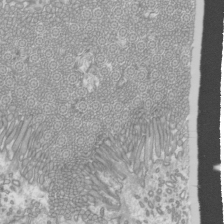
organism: Mouse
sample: Cilia; mouse epididymis